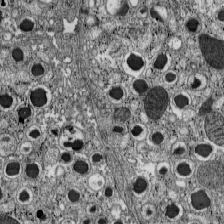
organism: C57BL Mouse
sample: Pancreatic islet